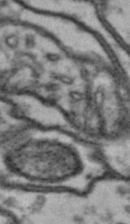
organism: Drosophila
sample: Brain